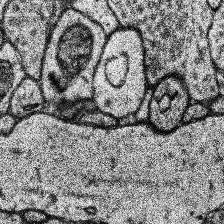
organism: Human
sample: Temporal Lobe